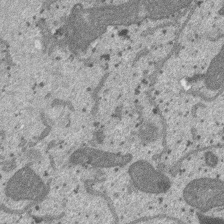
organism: Human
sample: Lung epithelial cells infected with SARS-CoV-2